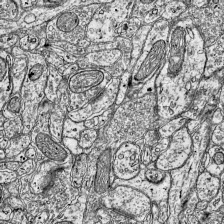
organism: Mouse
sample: Visual Cortex